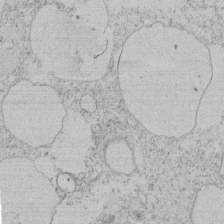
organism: Tetrahymena